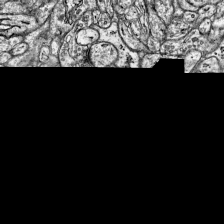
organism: Mouse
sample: Visual Cortex